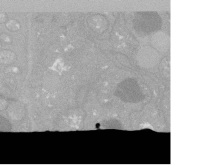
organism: C. elegans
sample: C. elegans oocyte; sperm cells